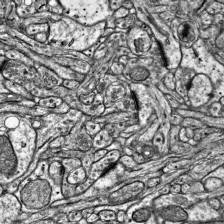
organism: Mouse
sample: Visual Cortex